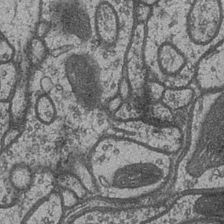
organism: Drosophila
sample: Optic medulla